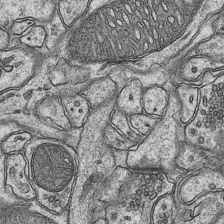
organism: Mouse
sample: CA1 Hippocampus